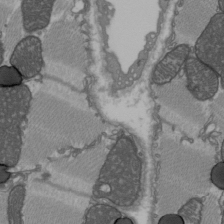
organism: C57BL Mouse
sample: Heart